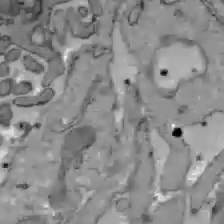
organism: C57BL Mouse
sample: Liver